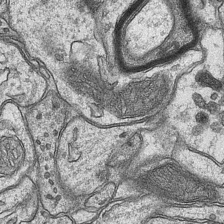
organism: Mouse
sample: CA1 Hippocampus